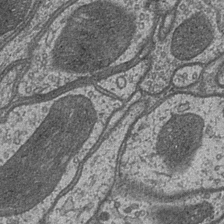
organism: Drosophila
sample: Optic medulla